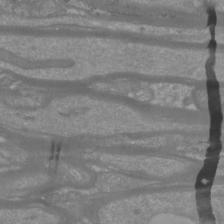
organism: Mouse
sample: Cortical neurons